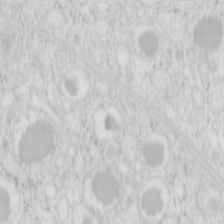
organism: Mouse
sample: Pancreas